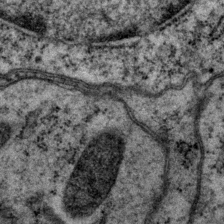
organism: P. pacificus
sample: Pharynx